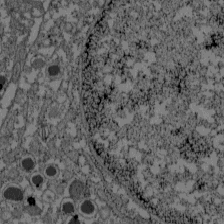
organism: C57BL Mouse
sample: Pancreatic islet